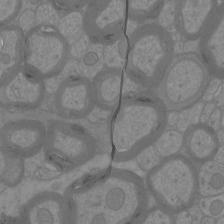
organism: Mouse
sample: Cortical neurons